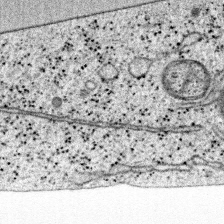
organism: Human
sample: HeLa cells